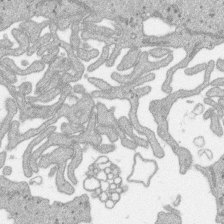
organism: Human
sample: Lung epithelial cells infected with SARS-CoV-2